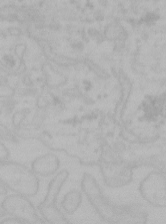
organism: Mouse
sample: Choroid plexus